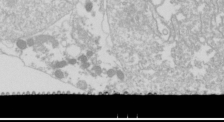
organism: Drosophila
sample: Cell division; meiosis; drosophila spermatocytes